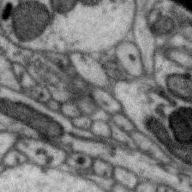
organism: Zebra finch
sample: Brain